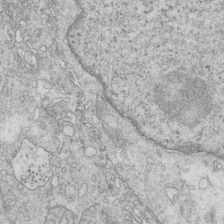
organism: Mouse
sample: Multiciliated cells